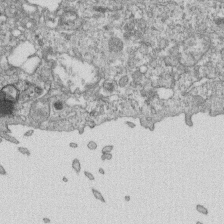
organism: Human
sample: HeLa cell HIV synapse